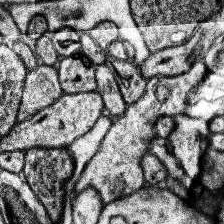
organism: Human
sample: Temporal Lobe